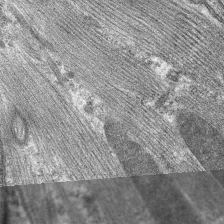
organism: C. elegans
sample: Pharynx